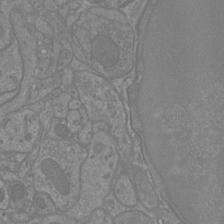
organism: Mouse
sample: Cortical neurons